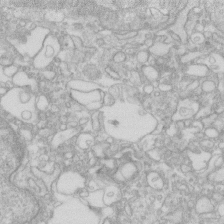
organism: Human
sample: Fibroblast cells